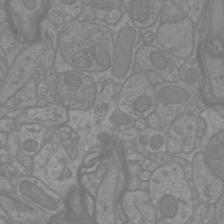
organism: Mouse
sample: Cortical neurons